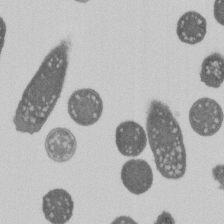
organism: E. coli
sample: Bacterial nucleoid